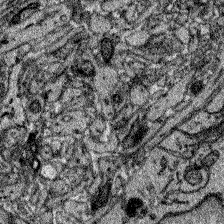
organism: Zebrafish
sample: Larval olfactory bulb